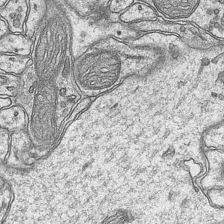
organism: Mouse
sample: CA1 Hippocampus